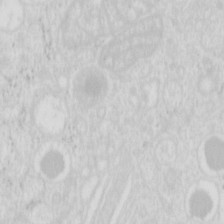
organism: Mouse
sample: Pancreas